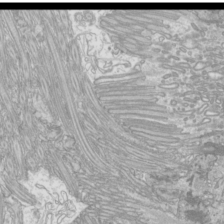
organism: Mouse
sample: Cilia; mouse epididymis